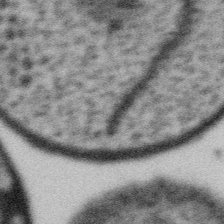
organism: Gemmata obscuriglobus